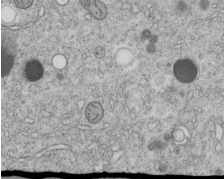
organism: C. elegans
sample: C. elegans embryo early stage